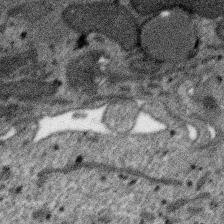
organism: Human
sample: Lung epithelial cells infected with SARS-CoV-2